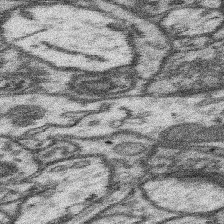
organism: Mouse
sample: Somatosensory cortex neuropil